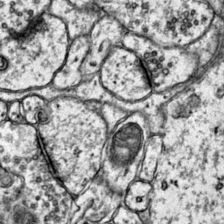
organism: Mouse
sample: Primary visual cortex